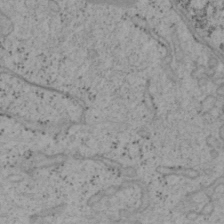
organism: Human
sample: HeLa cells